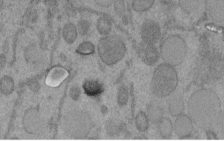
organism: C. elegans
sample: C. elegans embryo early stage